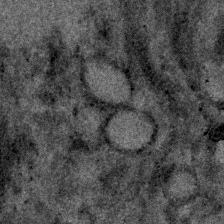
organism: Human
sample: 1205lu cells